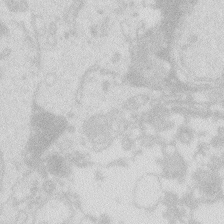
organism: Zebrafish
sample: Macrophage